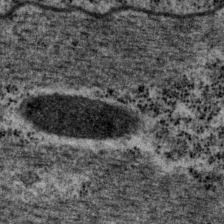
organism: P. pacificus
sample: Pharynx